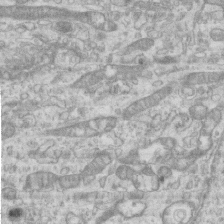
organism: Mouse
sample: Centriole in ependymal cells